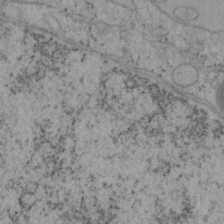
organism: Human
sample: HeLa cells